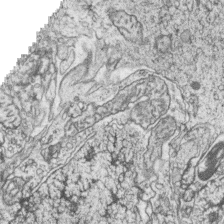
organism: Zebrafish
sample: synaptic ribbons in rod cells and cone cells